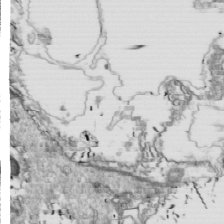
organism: Drosophila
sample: Cell division; meiosis; drosophila spermatocytes